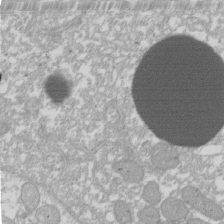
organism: Xenopus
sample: Cilia; centrioles in frog embryo cells